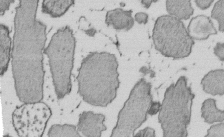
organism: E. coli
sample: Bacterial nucleoid